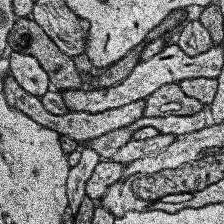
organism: Human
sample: Temporal Lobe